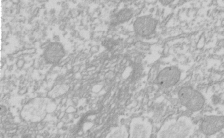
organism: Xenopus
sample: Cilia; centrioles in frog embryo cells